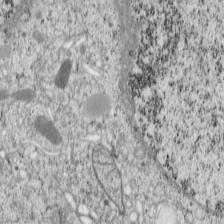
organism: African green monkey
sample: COS-7 cells